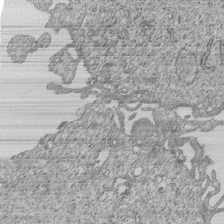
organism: Human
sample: MDA-MB-231 cells